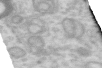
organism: Human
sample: Centriole in RPE cells